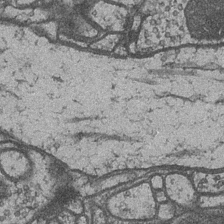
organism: Drosophila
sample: Optic medulla